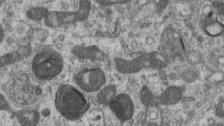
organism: Mouse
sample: Centriole in ependymal cells